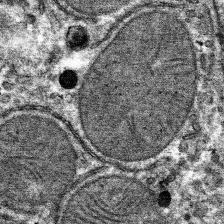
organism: Mouse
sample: Mouse hepatocytes